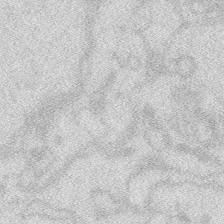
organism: Zebrafish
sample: Macrophage